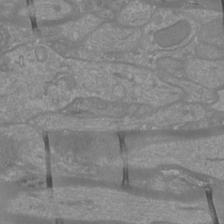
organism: Mouse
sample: Cortical neurons